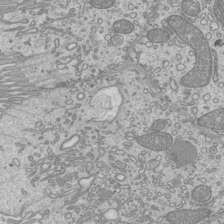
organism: Mouse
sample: Cilia; mouse epididymis